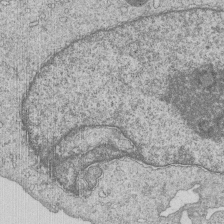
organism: Human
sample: MDA-MB-231 cells